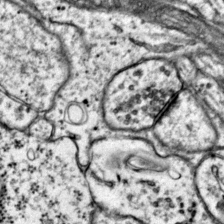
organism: Mouse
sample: Primary visual cortex